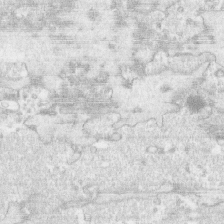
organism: Human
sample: CRL-1474